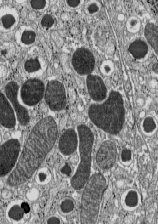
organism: C57BL Mouse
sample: Pancreatic islet